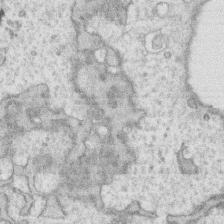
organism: Human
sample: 1205lu cells